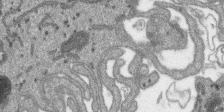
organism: Human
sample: Lung epithelial cells infected with SARS-CoV-2